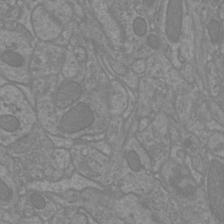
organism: Mouse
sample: Cortical neurons